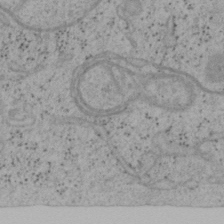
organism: Human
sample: HeLa cells